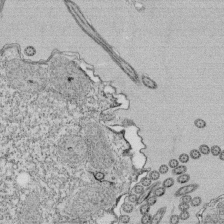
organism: Tetrahymena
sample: Cilia in tetrahymena